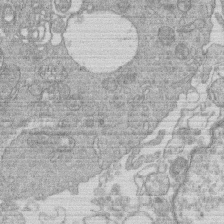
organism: Human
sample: Macrophage cells